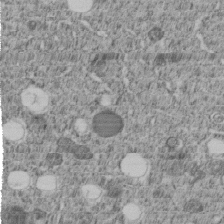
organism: C. elegans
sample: C. elegans embryo early stage